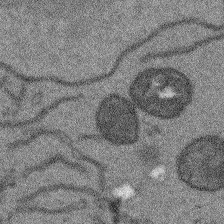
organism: Arabidopsis thaliana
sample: Root tip